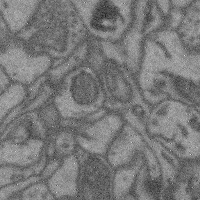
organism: Mouse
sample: Cerebral cortex